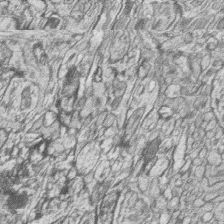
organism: Zebrafish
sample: synaptic ribbons in rod cells and cone cells